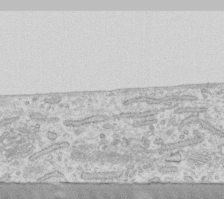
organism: Human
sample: Fibroblast cells